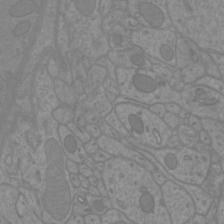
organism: Mouse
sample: Cortical neurons